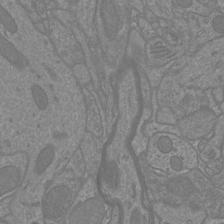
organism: Mouse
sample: Cortical neurons